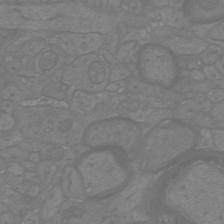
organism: Mouse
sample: Cortical neurons